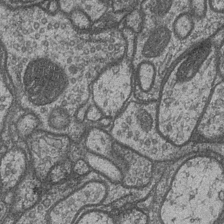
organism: Drosophila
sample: Optic medulla